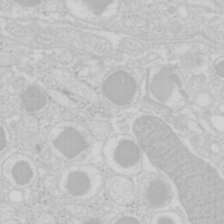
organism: Mouse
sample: Pancreas